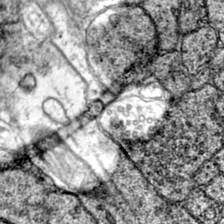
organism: Mouse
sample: Primary visual cortex